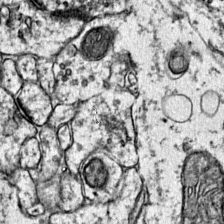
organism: Mouse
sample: Primary visual cortex